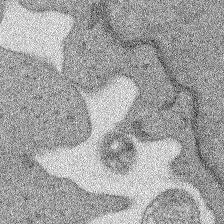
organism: Human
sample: HeLa cells